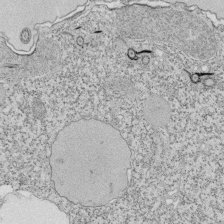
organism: Tetrahymena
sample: Cilia in tetrahymena